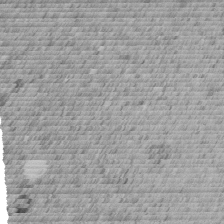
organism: C. elegans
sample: C. elegans embryo early stage